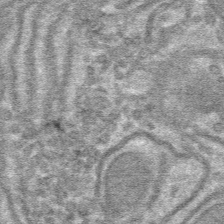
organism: Mouse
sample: Mouse hepatocytes